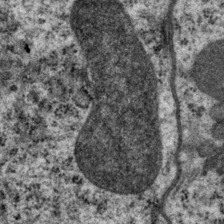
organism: P. pacificus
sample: Pharynx